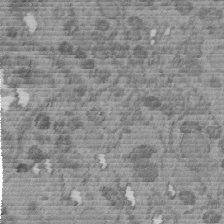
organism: C. elegans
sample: C. elegans embryo early stage